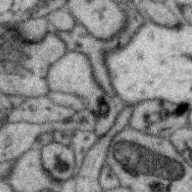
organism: Zebra finch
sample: Brain